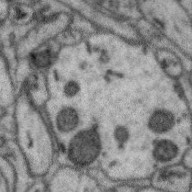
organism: Zebra finch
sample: Brain